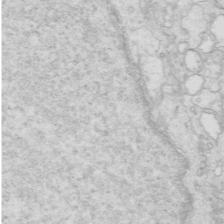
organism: Mouse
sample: Multiciliated cells